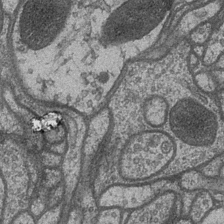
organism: Drosophila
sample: Optic medulla